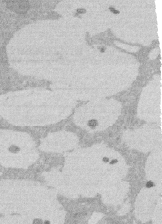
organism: Rat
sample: Salivary granule